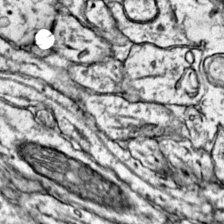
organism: Mouse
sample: Primary visual cortex